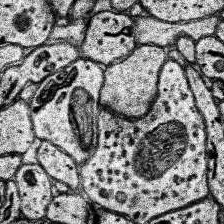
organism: Human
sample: Temporal Lobe